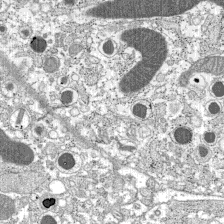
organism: C57BL Mouse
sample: Pancreatic islet